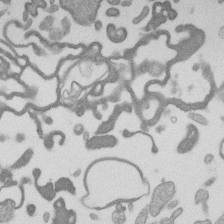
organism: Mouse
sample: Dividing mouse embryo 1 cell stage